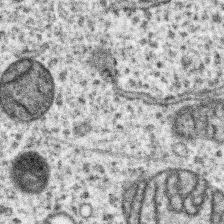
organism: Human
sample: HeLa cells